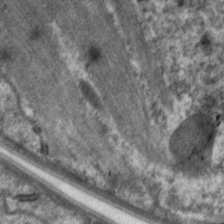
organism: C. elegans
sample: Pharynx